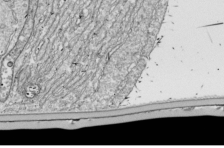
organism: Drosophila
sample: Cell division; meiosis; drosophila spermatocytes